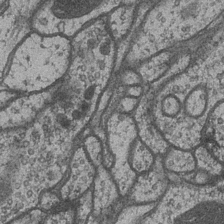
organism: Drosophila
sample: Optic medulla